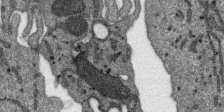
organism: Human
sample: Lung epithelial cells infected with SARS-CoV-2